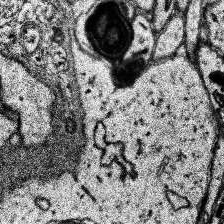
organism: Human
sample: Temporal Lobe